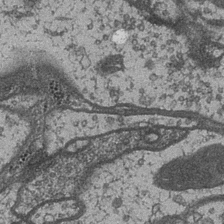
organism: Drosophila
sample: Optic medulla